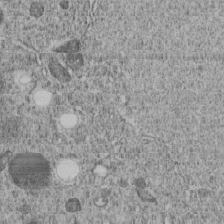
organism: C. elegans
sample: C. elegans embryo early stage